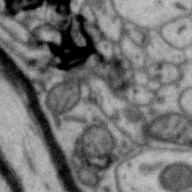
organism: Zebra finch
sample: Brain